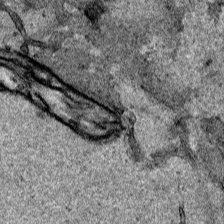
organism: Human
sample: Mitochondria in HCT116 cells